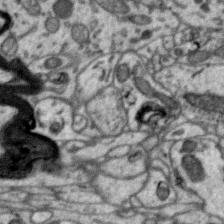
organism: Zebra finch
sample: Brain